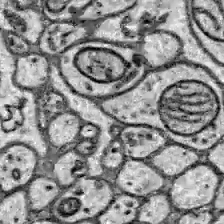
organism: Zebrafish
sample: Brain